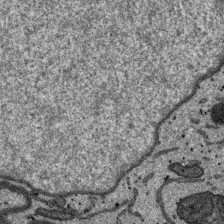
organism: Human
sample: Lung epithelial cells, uninfected (mock) control